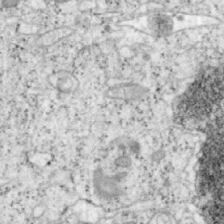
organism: Mouse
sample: OT-I killer T cells with ID8 ovarian cancer cells